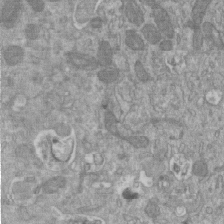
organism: Mouse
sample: ED-1 cell nuclei; centrioles